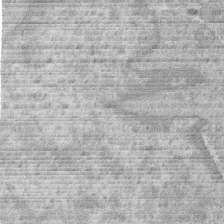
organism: Human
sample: Macrophage cells